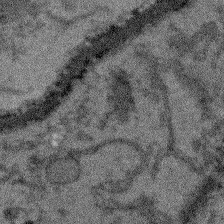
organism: Arabidopsis thaliana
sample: Root tip